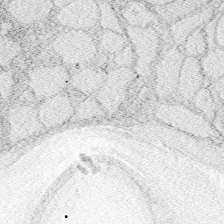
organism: Zebrafish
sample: Whole-Brain